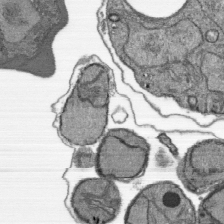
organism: Plasmodium falciparum